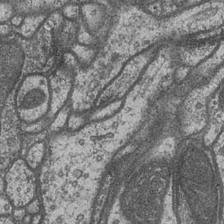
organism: Drosophila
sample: Optic medulla